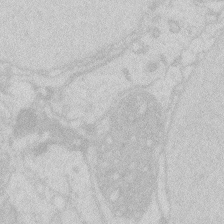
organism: Zebrafish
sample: Macrophage